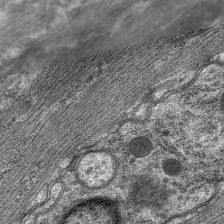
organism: C. elegans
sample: Pharynx